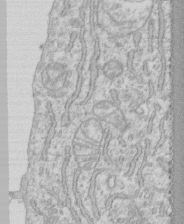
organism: Human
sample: CRL-1474